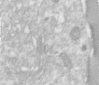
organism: Human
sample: Centriole in RPE cells